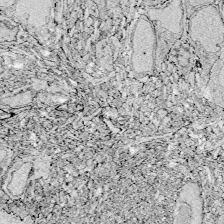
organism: Zebrafish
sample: Whole-Brain